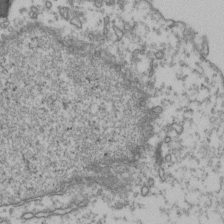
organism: Human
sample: Activated Jurkat CD4+ T cells